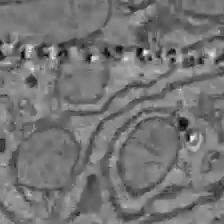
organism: C57BL Mouse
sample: Liver